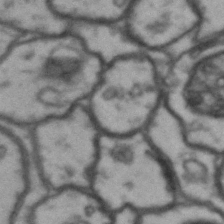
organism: Drosophila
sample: Brain